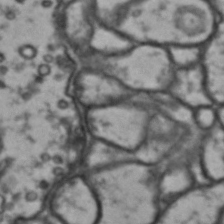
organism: Drosophila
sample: Brain